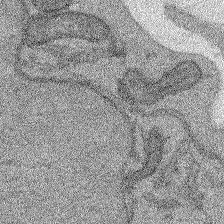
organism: Human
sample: HeLa cells